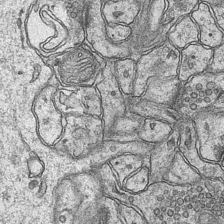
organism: Mouse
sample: CA1 Hippocampus